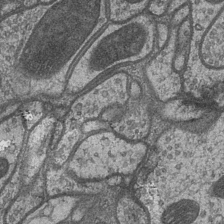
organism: Drosophila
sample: Optic medulla